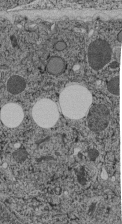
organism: C. elegans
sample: C. elegans pharynx